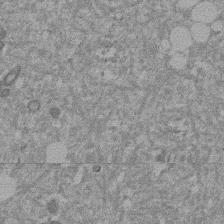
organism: Mouse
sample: Dividing mouse embryo 1 cell stage